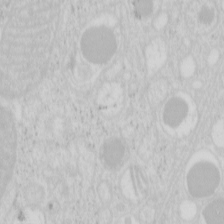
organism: Mouse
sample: Pancreas